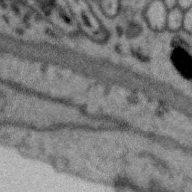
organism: Zebra finch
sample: Brain